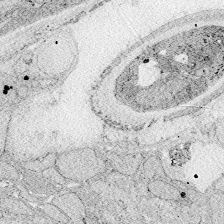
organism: Zebrafish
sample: Whole-Brain